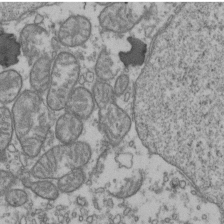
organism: Human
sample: Activated Jurkat CD4+ T cells